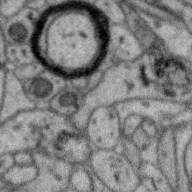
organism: Zebra finch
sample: Brain